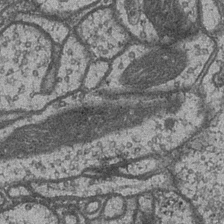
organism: Drosophila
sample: Optic medulla